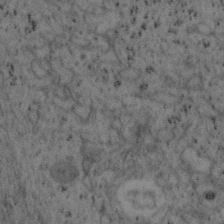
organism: Human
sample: HeLa cells